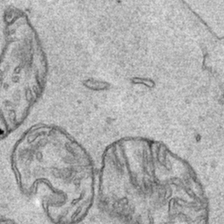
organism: Human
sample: Mitochondria in HCT116 cells